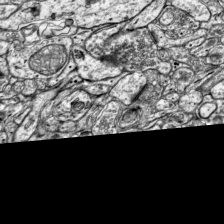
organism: Mouse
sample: Visual Cortex